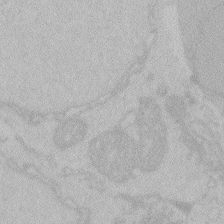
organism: Zebrafish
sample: Macrophage infected with Toxoplasma gondii